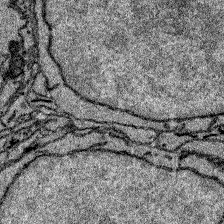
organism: Zebrafish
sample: Larval olfactory bulb